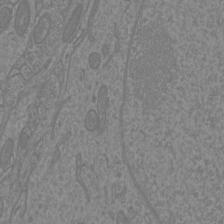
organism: Mouse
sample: Cortical neurons